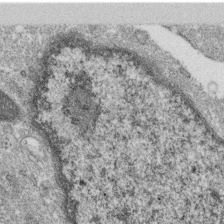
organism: African green monkey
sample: Vero E6 cells infected with SARS-CoV-2